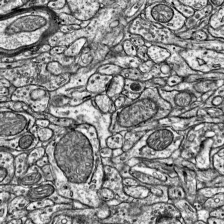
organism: Mouse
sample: Visual Cortex